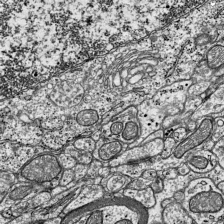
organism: Mouse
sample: Visual Cortex